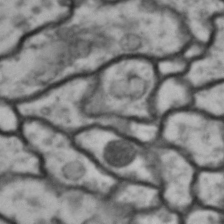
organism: Drosophila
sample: Brain